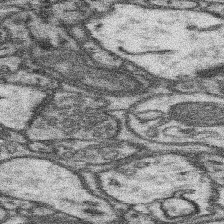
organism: Mouse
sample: Somatosensory cortex neuropil